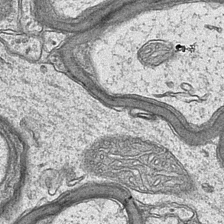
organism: Mouse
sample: CA1 Hippocampus